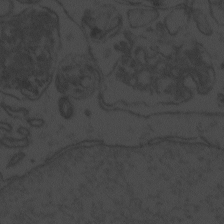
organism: Zebrafish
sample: Macrophage infected with Toxoplasma gondii